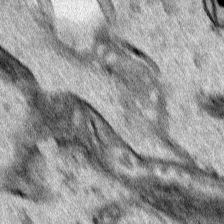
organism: Human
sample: Mitochondria in HCT116 cells